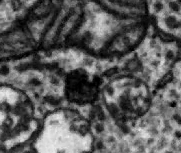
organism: Human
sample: HeLa cells